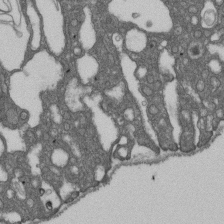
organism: Drosophila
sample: Nephrocyte